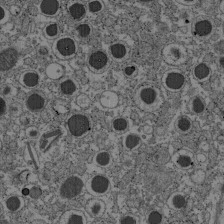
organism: C57BL Mouse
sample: Pancreatic islet